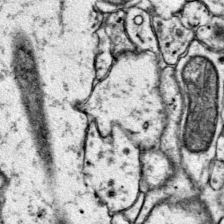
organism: Mouse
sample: Primary visual cortex